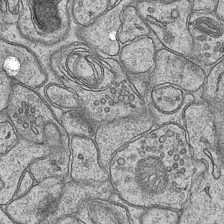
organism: Mouse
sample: CA1 Hippocampus